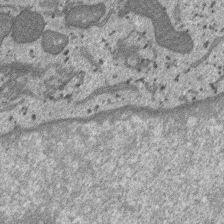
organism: Human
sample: Lung epithelial cells infected with SARS-CoV-2